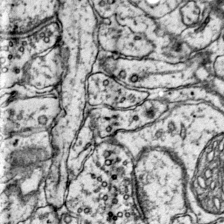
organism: Mouse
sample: Primary visual cortex